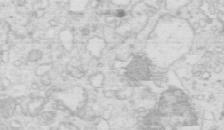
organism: Mouse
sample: Multiciliated cells